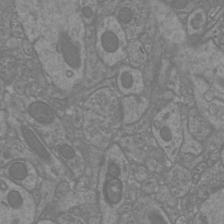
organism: Mouse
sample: Cortical neurons